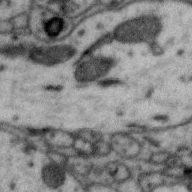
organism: Zebra finch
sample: Brain